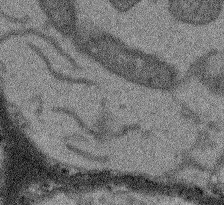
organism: Arabidopsis thaliana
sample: Root tip